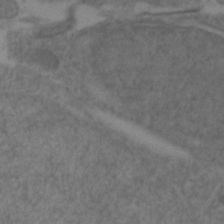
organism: Zebrafish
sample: Zebrafish embryo